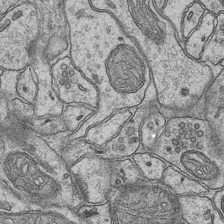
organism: Mouse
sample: CA1 Hippocampus